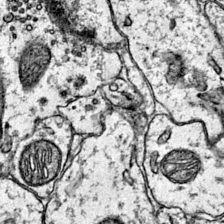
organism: Mouse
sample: Primary visual cortex